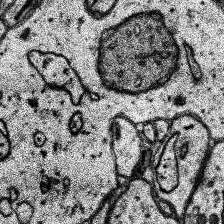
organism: Human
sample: Temporal Lobe